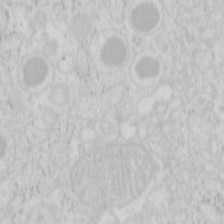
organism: Mouse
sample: Pancreas